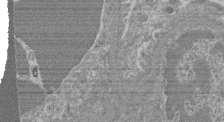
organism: Mouse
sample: Glomerulus